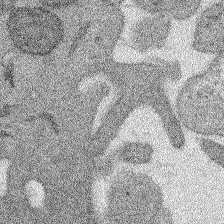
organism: Human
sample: HeLa cells